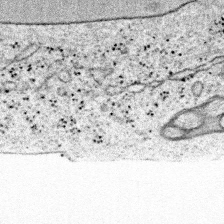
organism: Human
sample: HeLa cells